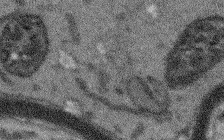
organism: Arabidopsis thaliana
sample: Root tip